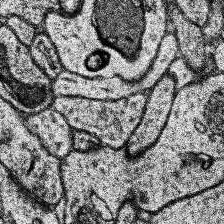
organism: Human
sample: Temporal Lobe